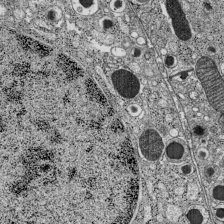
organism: C57BL Mouse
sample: Pancreatic islet